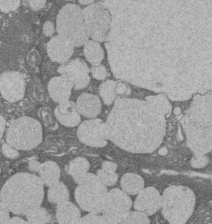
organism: Rat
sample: Salivary granule